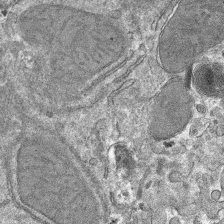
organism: Mouse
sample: Mouse hepatocytes